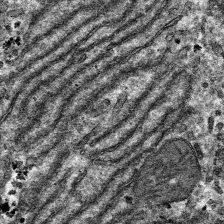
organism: Mouse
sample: Mouse hepatocytes